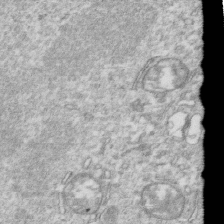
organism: Mouse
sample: Activated OT-1 CD8+ T cells